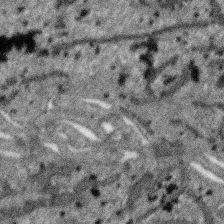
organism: Human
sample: Lung epithelial cells infected with SARS-CoV-2